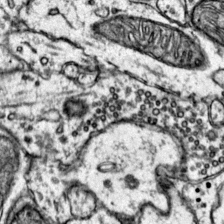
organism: Mouse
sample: Primary visual cortex